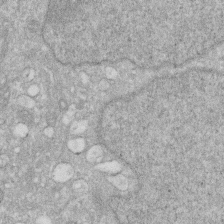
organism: Human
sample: HIV infected U937 cells